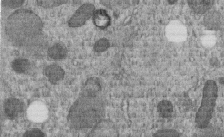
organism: C. elegans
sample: C. elegans embryo early stage